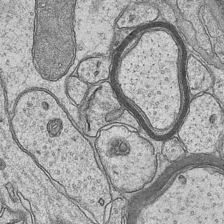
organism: Mouse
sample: CA1 Hippocampus